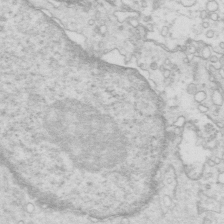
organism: Mouse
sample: Multiciliated cells